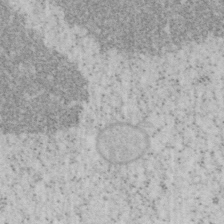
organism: Human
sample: HeLa cells